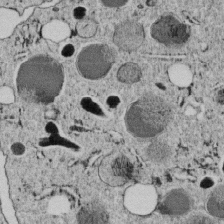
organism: C. elegans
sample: C. elegans embryo early stage